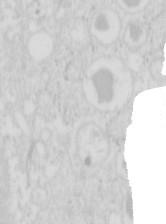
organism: Mouse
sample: Pancreas